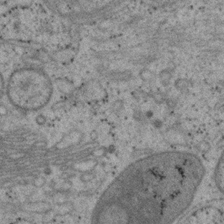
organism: Human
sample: HeLa cells